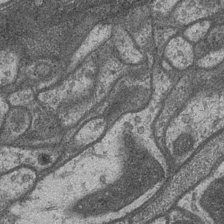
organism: Drosophila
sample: Optic medulla